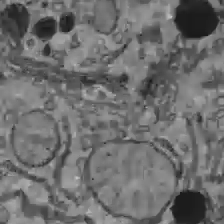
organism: C57BL Mouse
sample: Liver